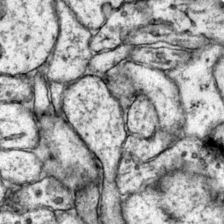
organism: Mouse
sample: Primary visual cortex